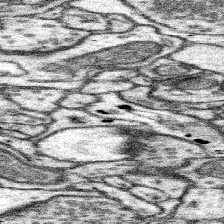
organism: Mouse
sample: Somatosensory cortex neuropil